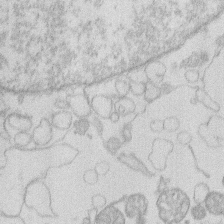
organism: Human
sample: Macrophage cells